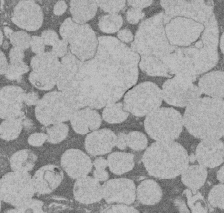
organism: Rat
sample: Salivary granule